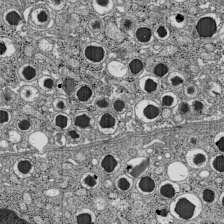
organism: C57BL Mouse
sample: Pancreatic islet